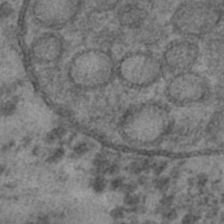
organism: C. elegans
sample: C. elegans embryo